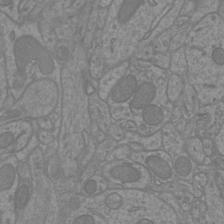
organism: Mouse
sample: Cortical neurons